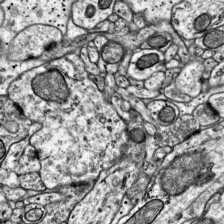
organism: Mouse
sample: Visual Cortex